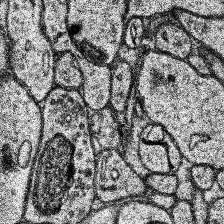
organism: Human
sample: Temporal Lobe